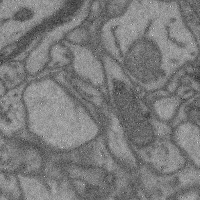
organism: Mouse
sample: Cerebral cortex